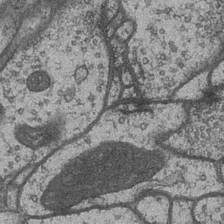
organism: Drosophila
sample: Optic medulla